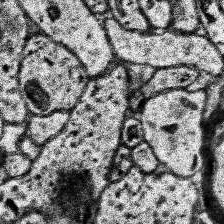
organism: Human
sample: Temporal Lobe